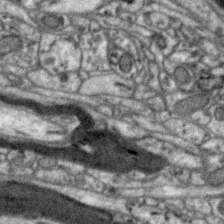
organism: Zebra finch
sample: Brain